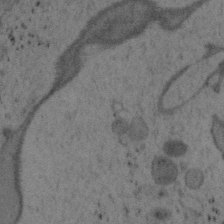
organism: Human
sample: HeLa cells